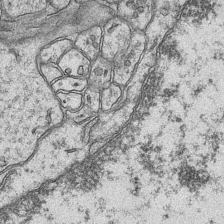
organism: Mouse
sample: CA1 Hippocampus